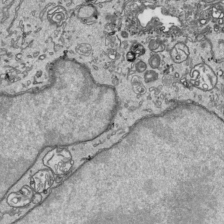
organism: Human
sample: Mitochondria in HCT116 cells